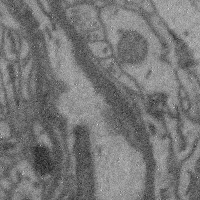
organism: Mouse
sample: Cerebral cortex